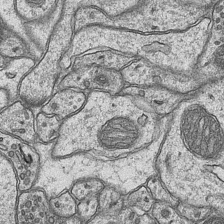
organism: Mouse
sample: CA1 Hippocampus